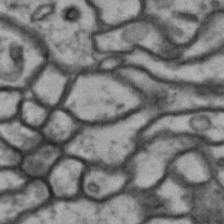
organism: Drosophila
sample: Brain